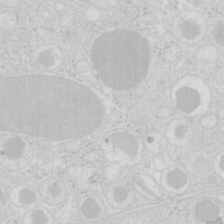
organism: Mouse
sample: Pancreas